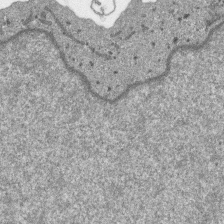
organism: Human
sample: Lung epithelial cells infected with SARS-CoV-2